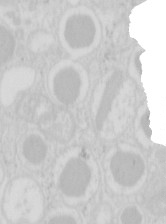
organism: Mouse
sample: Pancreas